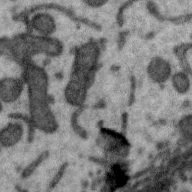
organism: Zebra finch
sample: Brain